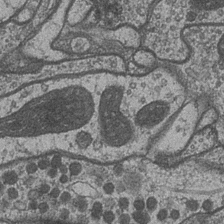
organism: Drosophila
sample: Optic medulla